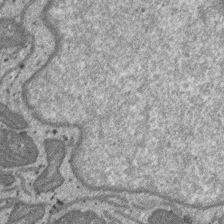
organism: Human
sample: Lung epithelial cells infected with SARS-CoV-2